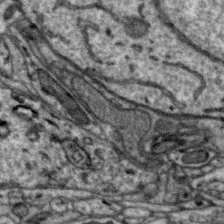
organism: Zebra finch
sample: Brain